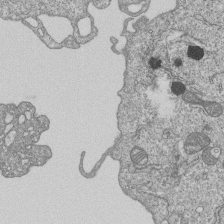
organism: Human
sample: MDA-MB-231 cells